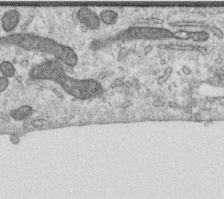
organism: Human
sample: Centriole in RPE cells